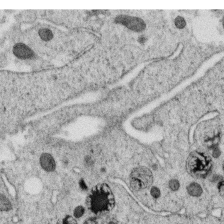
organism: C. elegans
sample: C. elegans oocyte; sperm cells